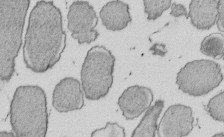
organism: E. coli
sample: Bacterial nucleoid